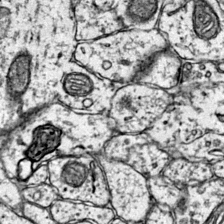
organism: Mouse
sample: Primary visual cortex